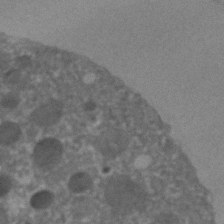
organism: C. elegans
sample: C. elegans embryo